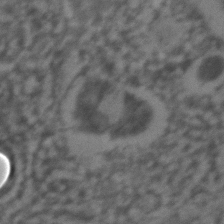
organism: C. elegans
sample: C. elegans embryo